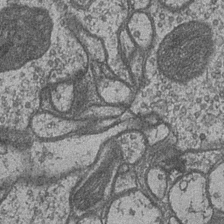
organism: Drosophila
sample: Optic medulla